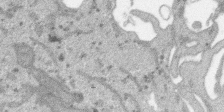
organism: Human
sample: Lung epithelial cells infected with SARS-CoV-2